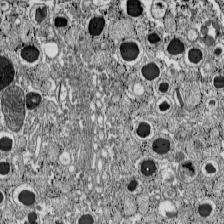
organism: C57BL Mouse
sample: Pancreatic islet